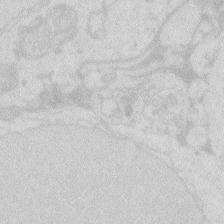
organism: Zebrafish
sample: Macrophage